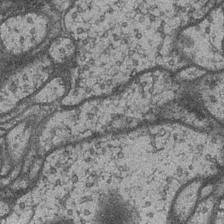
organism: Drosophila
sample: Optic medulla